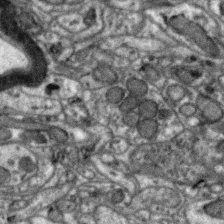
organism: Zebra finch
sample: Brain